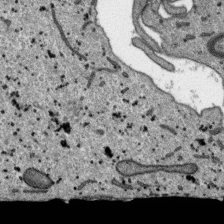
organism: Human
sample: Lung epithelial cells, uninfected (mock) control